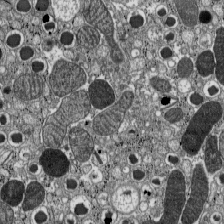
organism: C57BL Mouse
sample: Pancreatic islet